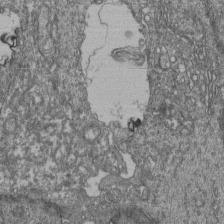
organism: Human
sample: Retinal organoid Rod and Cone cells